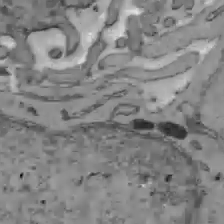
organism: C57BL Mouse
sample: Liver